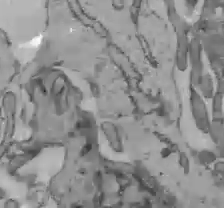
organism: C57BL Mouse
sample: Liver